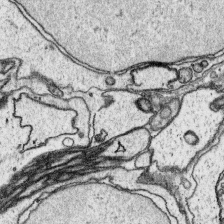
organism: Platynereis dumerilii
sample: Parapodia